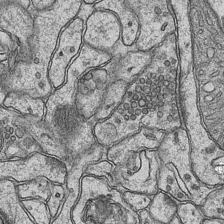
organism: Mouse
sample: CA1 Hippocampus